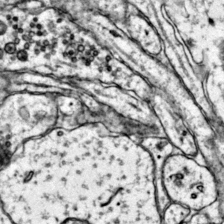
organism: Mouse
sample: Primary visual cortex